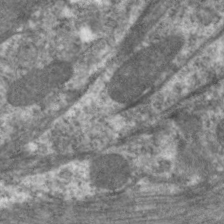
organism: C. elegans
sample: Pharynx